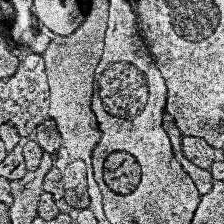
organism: Human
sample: Temporal Lobe